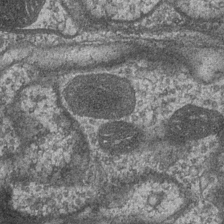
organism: Drosophila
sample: Optic medulla